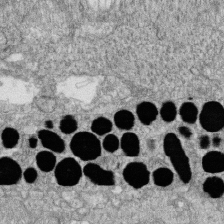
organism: Zebrafish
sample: Cilia; retinal pigment epithelium